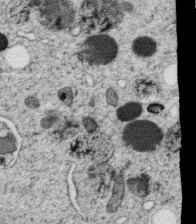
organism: C. elegans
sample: C. elegans oocyte; sperm cells